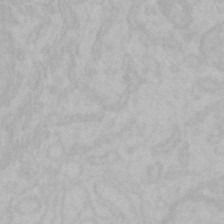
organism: Mouse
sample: Choroid plexus